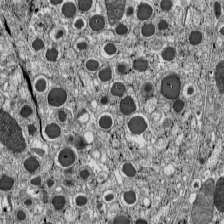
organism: C57BL Mouse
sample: Pancreatic islet